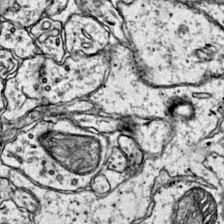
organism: Mouse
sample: Primary visual cortex